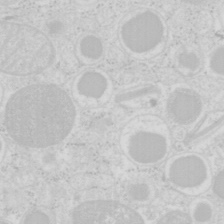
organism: Mouse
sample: Pancreas